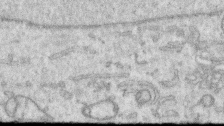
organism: Human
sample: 1205lu cells